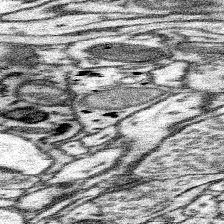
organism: Mouse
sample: Somatosensory cortex neuropil